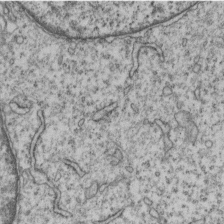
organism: Human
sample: MDA-MB-231 cells